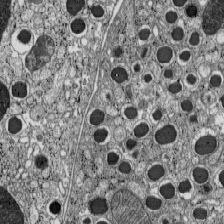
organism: C57BL Mouse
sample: Pancreatic islet